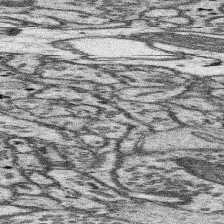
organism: Mouse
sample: Somatosensory cortex neuropil